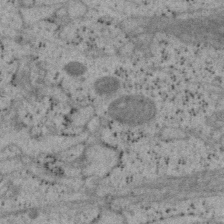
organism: Human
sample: HeLa cells